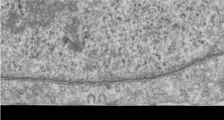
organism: Human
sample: Centriole in RPE cells